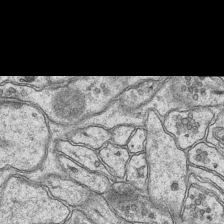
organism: Mouse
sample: CA1 Hippocampus